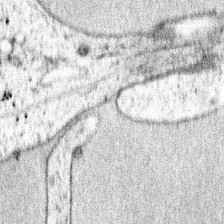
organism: Human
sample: HeLa cells